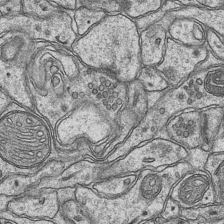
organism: Mouse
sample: CA1 Hippocampus